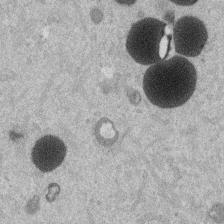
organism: Mouse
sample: Dividing mouse embryo 1 cell stage